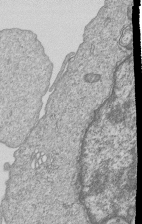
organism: Human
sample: MDA-MB-231 cells